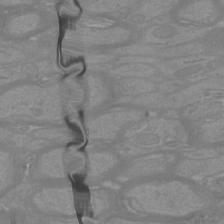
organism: Mouse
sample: Cortical neurons